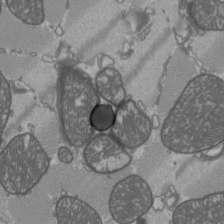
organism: C57BL Mouse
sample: Heart